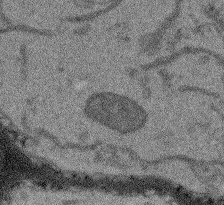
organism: Arabidopsis thaliana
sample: Root tip